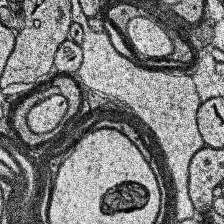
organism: Human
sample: Temporal Lobe